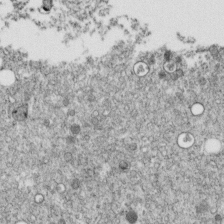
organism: C. elegans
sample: C. elegans embryo early stage